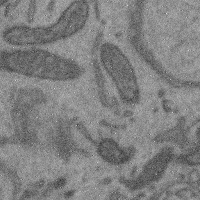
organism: Mouse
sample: Cerebral cortex